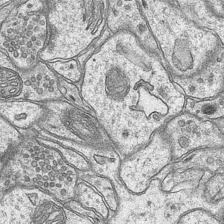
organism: Mouse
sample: CA1 Hippocampus